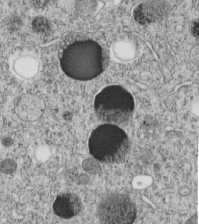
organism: C. elegans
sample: C. elegans embryo early stage